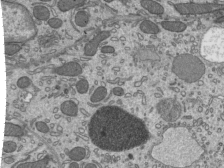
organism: Mouse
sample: Mouse epididymis efferent ductule cilia